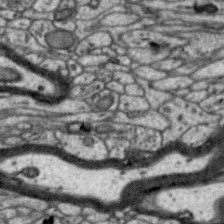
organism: Zebra finch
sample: Brain